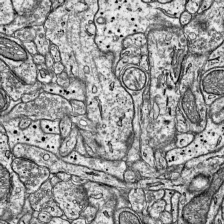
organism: Mouse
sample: Visual Cortex